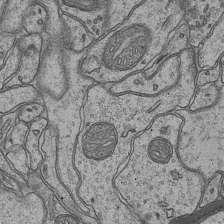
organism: Mouse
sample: CA1 Hippocampus